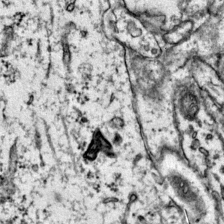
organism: Mouse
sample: Primary visual cortex